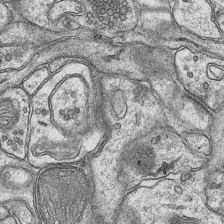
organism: Mouse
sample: CA1 Hippocampus